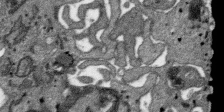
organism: Human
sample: Lung epithelial cells, uninfected (mock) control